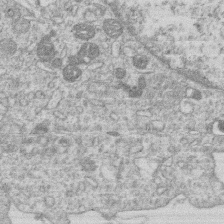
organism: Human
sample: Macrophage cells